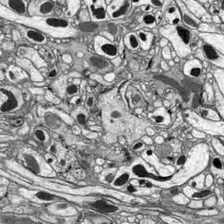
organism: Drosophila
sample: Optic lobe